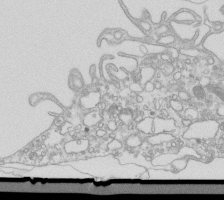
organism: Mouse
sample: Macrophages